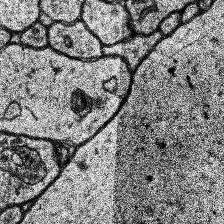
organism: Human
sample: Temporal Lobe